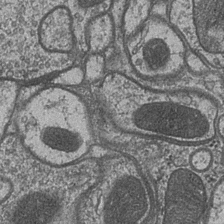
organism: Drosophila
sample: Optic medulla